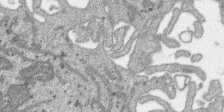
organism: Human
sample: Lung epithelial cells infected with SARS-CoV-2